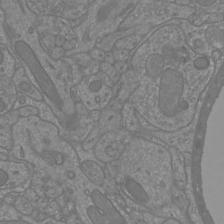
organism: Mouse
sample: Cortical neurons